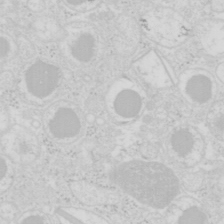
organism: Mouse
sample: Pancreas